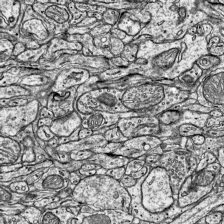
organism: Mouse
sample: Visual Cortex